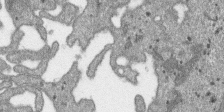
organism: Human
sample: Lung epithelial cells infected with SARS-CoV-2